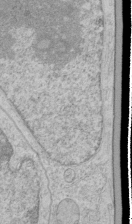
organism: Human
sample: Mitochondria in HCT116 cells